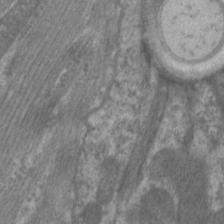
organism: C. elegans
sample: Pharynx